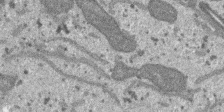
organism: Human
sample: Lung epithelial cells infected with SARS-CoV-2